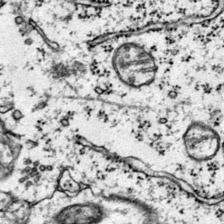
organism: Mouse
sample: Primary visual cortex